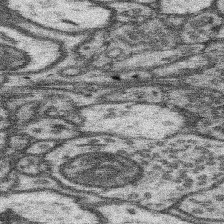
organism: Mouse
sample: Somatosensory cortex neuropil